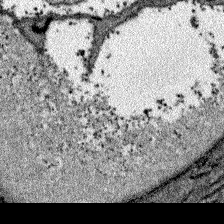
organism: Zebrafish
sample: Larval olfactory bulb